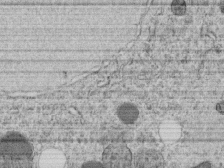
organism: C. elegans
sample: C. elegans embryo early stage